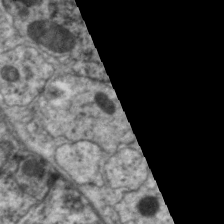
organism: C. elegans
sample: Pharynx